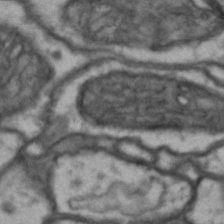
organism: Drosophila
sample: Brain